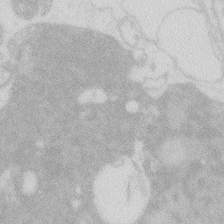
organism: Zebrafish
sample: Macrophage